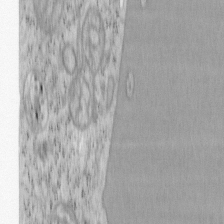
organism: Human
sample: HeLa cells